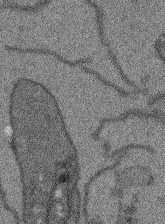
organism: Arabidopsis thaliana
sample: Root tip